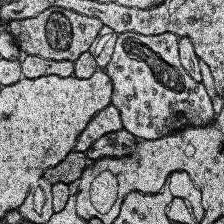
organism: Human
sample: Temporal Lobe